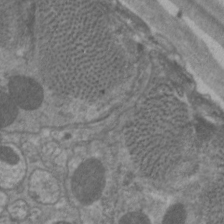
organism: C. elegans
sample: Pharynx